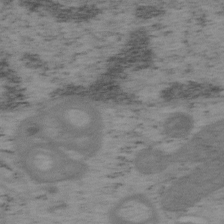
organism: Mouse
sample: OT-I killer T cells with ID8 ovarian cancer cells